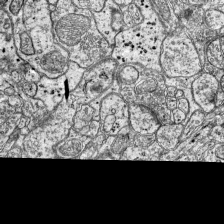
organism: Mouse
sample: Visual Cortex